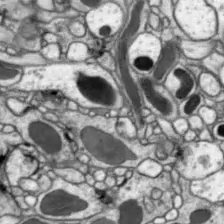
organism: Drosophila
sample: Optic lobe